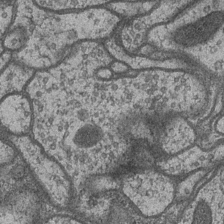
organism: Drosophila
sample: Optic medulla